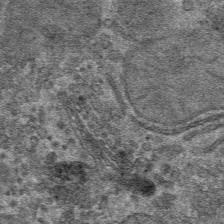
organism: Mouse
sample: Mouse hepatocytes